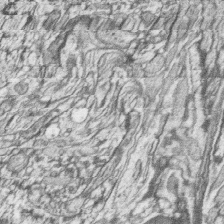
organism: Zebrafish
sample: synaptic ribbons in rod cells and cone cells